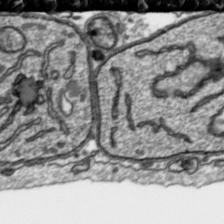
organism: Toxoplasma gondii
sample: Parasites in a vacuole inside a host cell